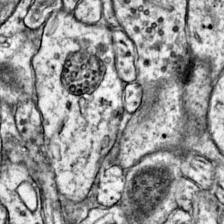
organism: Mouse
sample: Primary visual cortex